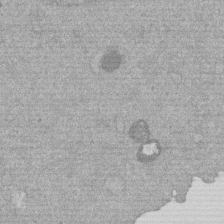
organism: Mouse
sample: Dividing mouse embryo 1 cell stage